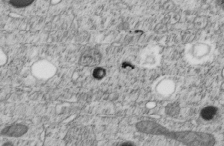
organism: C. elegans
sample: C. elegans embryo early stage